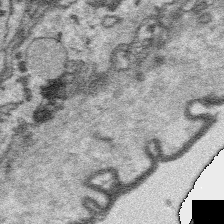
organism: Platynereis dumerilii